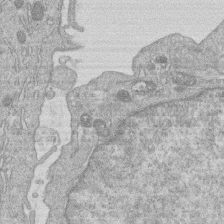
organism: Human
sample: Macrophage cells